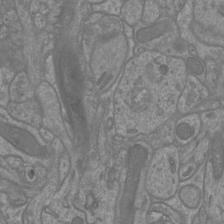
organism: Mouse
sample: Cortical neurons